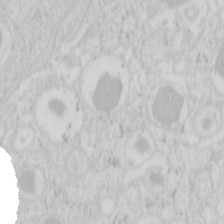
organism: Mouse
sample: Pancreas